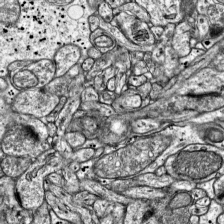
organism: Mouse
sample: Visual Cortex